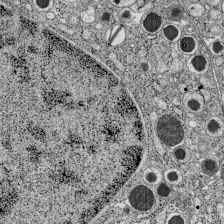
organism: C57BL Mouse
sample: Pancreatic islet